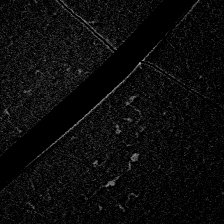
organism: Zebrafish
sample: Whole-Brain